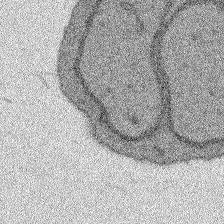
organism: Human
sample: HeLa cells